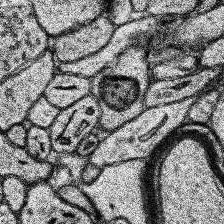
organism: Human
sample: Temporal Lobe